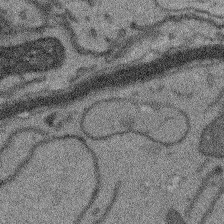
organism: Arabidopsis thaliana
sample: Root tip